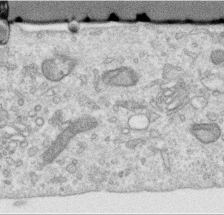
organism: Human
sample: Centriole in RPE cells